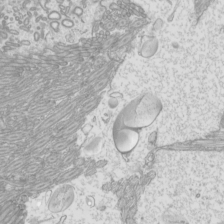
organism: Mouse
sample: Cilia; mouse epididymis